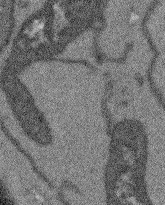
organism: Arabidopsis thaliana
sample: Root tip